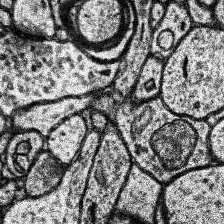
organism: Human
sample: Temporal Lobe